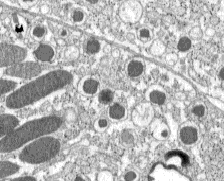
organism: C57BL Mouse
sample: Pancreatic islet